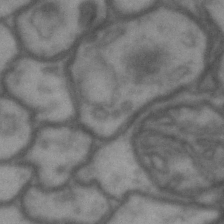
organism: Drosophila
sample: Brain